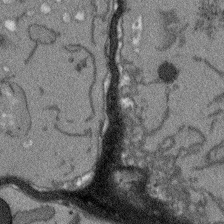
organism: Arabidopsis thaliana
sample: Root tip